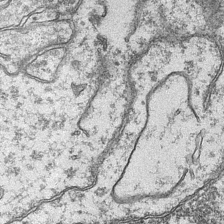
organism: Mouse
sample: CA1 Hippocampus